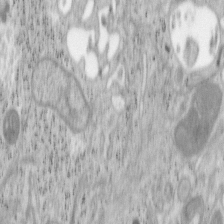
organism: Human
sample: HeLa cells